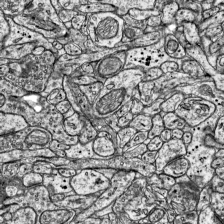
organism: Mouse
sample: Visual Cortex